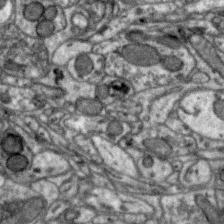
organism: Zebra finch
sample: Brain